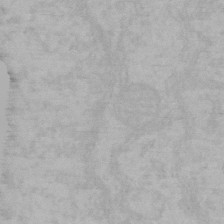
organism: Mouse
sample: Choroid plexus